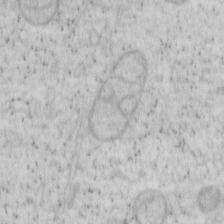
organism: Human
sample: HeLa cells